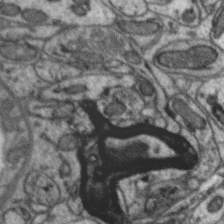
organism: Zebra finch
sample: Brain